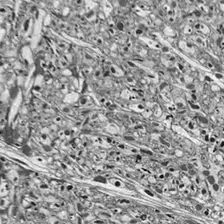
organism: Drosophila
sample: Optic lobe